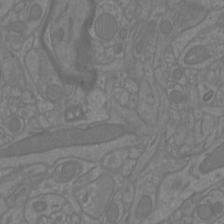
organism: Mouse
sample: Cortical neurons